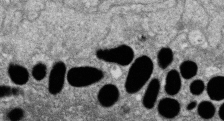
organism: Zebrafish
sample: Cilia; retinal pigment epithelium